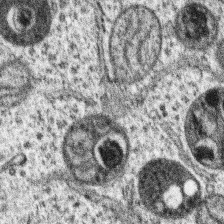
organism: Human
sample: HeLa cells